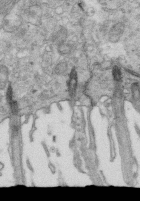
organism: Mouse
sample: Multiciliated cells